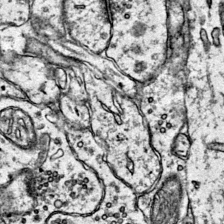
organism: Mouse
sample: Primary visual cortex